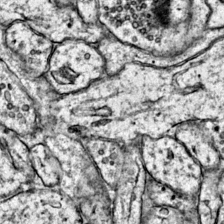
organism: Mouse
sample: Primary visual cortex